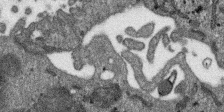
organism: Human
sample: Lung epithelial cells infected with SARS-CoV-2